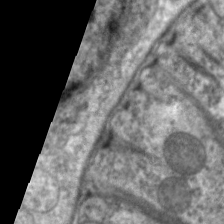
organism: C. elegans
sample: Pharynx